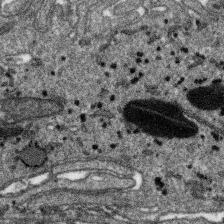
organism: Human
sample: Lung epithelial cells infected with SARS-CoV-2